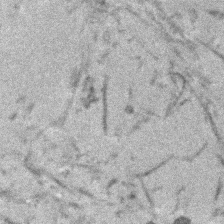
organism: Human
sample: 1205lu cells